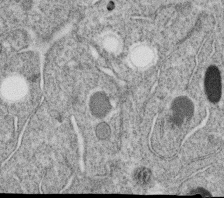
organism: C. elegans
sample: C. elegans oocyte; sperm cells